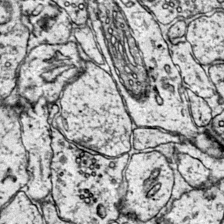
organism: Mouse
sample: Primary visual cortex